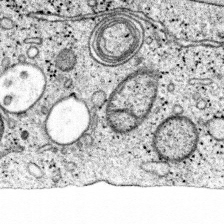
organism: Human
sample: HeLa cells